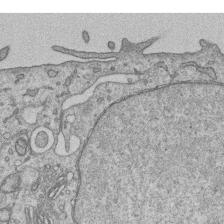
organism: Human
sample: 1205lu cells